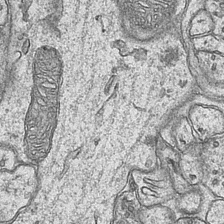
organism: Mouse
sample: CA1 Hippocampus